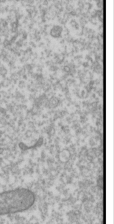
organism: Drosophila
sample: Cell division; meiosis; drosophila spermatocytes